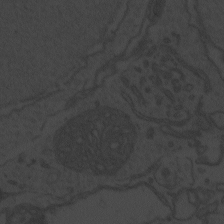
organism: Zebrafish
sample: Macrophage infected with Toxoplasma gondii